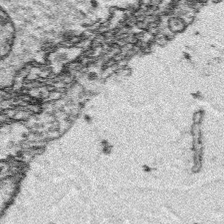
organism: Platynereis dumerilii